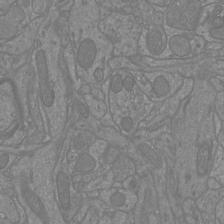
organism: Mouse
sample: Cortical neurons